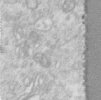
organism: Human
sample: Centriole in RPE cells